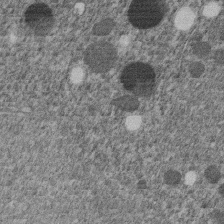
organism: C. elegans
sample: C. elegans embryo early stage